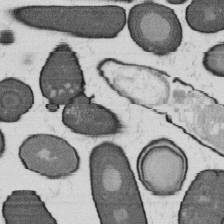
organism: B. subtilis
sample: Bacterial spore